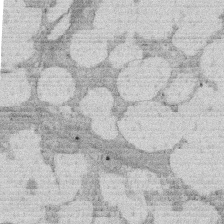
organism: Rat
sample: Salivary granule